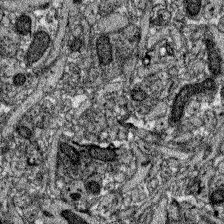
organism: Zebrafish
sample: Larval olfactory bulb